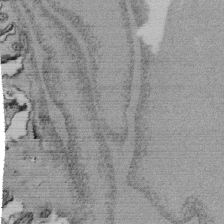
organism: Tetrahymena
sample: Cilia in tetrahymena